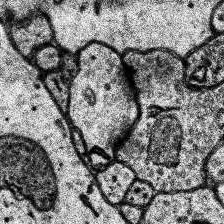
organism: Human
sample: Temporal Lobe